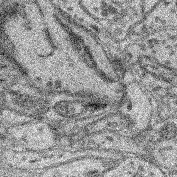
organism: Mouse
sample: Retina